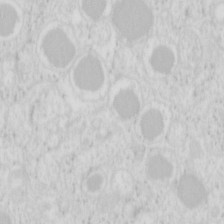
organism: Mouse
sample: Pancreas